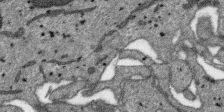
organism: Human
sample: Lung epithelial cells, uninfected (mock) control